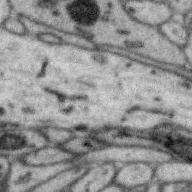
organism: Zebra finch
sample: Brain